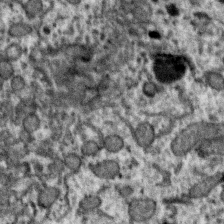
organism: Zebra finch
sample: Brain